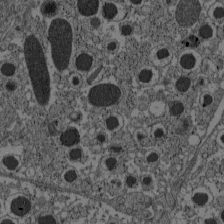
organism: C57BL Mouse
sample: Pancreatic islet